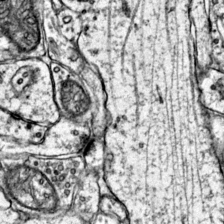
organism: Mouse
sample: Primary visual cortex